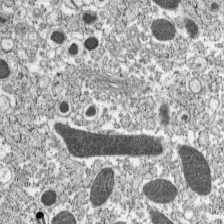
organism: C57BL Mouse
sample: Pancreatic islet